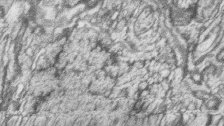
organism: Zebrafish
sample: synaptic ribbons in rod cells and cone cells